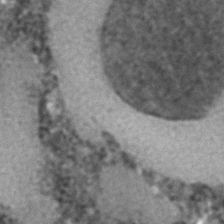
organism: C. elegans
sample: C. elegans embryo